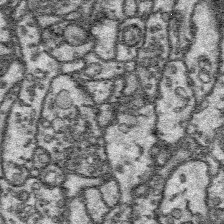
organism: Platynereis dumerilii